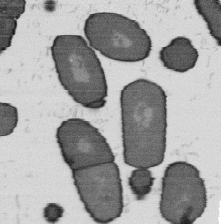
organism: B. subtilis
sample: Bacterial spore